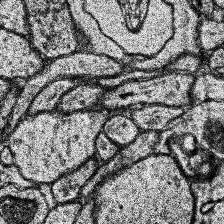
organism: Human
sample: Temporal Lobe